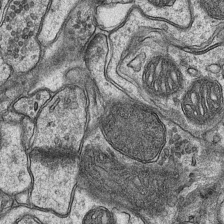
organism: Mouse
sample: CA1 Hippocampus